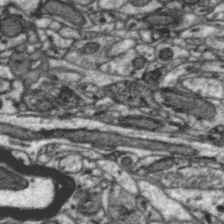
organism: Zebra finch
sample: Brain